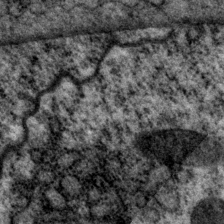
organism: P. pacificus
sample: Pharynx